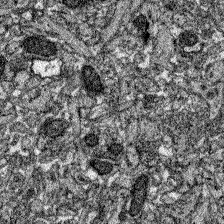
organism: Zebrafish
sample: Larval olfactory bulb